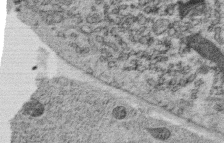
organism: C. elegans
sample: C. elegans oocyte; sperm cells